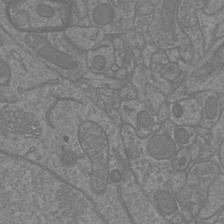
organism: Mouse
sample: Cortical neurons